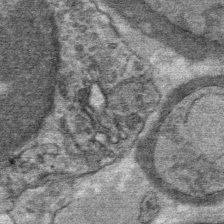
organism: Mouse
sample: Mouse Salivary gland